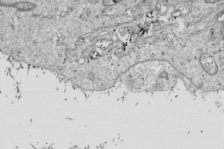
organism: Drosophila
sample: Cell division; meiosis; drosophila spermatocytes